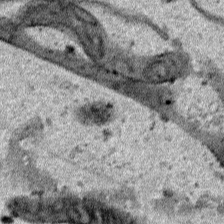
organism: Human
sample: Mitochondria in HCT116 cells